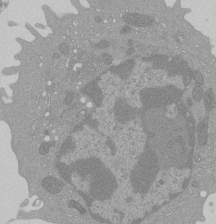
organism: Mouse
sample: Activated Pmel transgenic CD8+ T Cells